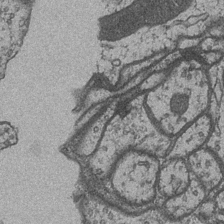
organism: Drosophila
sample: Optic medulla